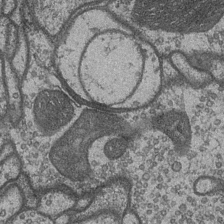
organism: Drosophila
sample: Optic medulla